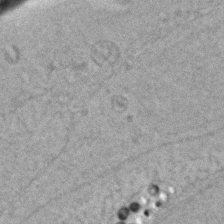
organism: Zebrafish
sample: Zebrafish embryo